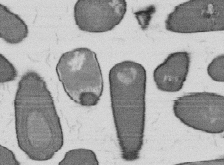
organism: B. subtilis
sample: Bacterial spore